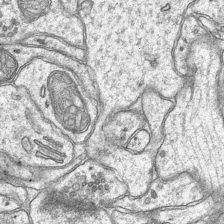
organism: Mouse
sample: CA1 Hippocampus